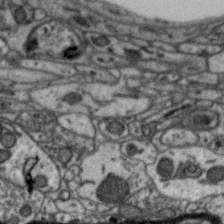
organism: Zebra finch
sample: Brain